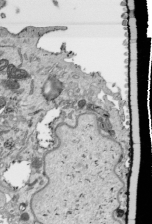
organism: Human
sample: Mitochondria in HCT116 cells